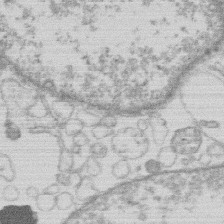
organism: Human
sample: Macrophage cells